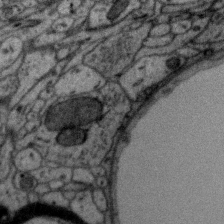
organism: Zebra finch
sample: Brain